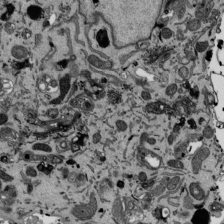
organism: Mouse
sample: ED-1 cell nuclei; centrioles